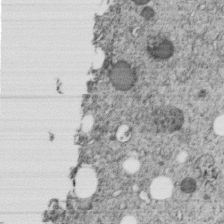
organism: C. elegans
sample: C. elegans embryo early stage